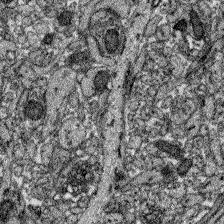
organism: Zebrafish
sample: Larval olfactory bulb